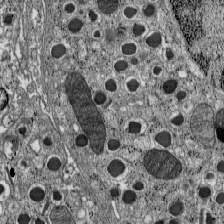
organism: C57BL Mouse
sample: Pancreatic islet